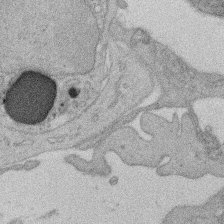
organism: Rat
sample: Salivary granule